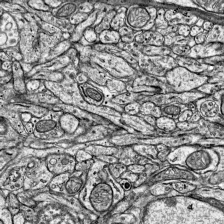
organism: Mouse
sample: Visual Cortex